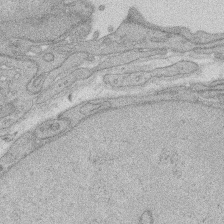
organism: Rat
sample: Salivary granule